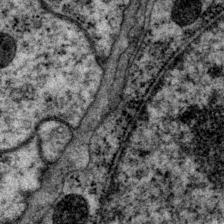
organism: P. pacificus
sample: Pharynx